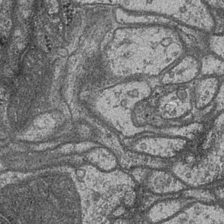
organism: Drosophila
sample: Optic medulla